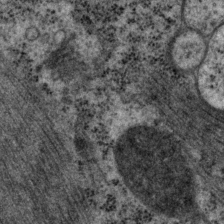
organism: P. pacificus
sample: Pharynx